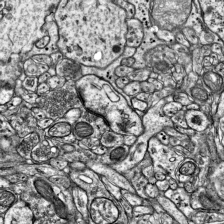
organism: Mouse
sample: Visual Cortex